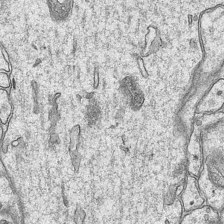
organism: Mouse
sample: CA1 Hippocampus